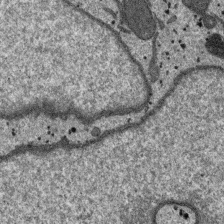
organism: Human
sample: Lung epithelial cells, uninfected (mock) control